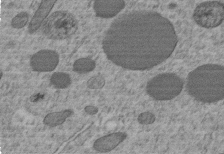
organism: C. elegans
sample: C. elegans embryo early stage